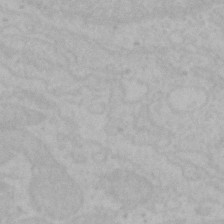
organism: Mouse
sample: Choroid plexus